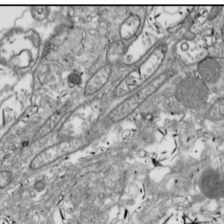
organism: Drosophila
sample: Cell division; meiosis; drosophila spermatocytes